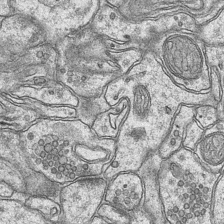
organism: Mouse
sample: CA1 Hippocampus